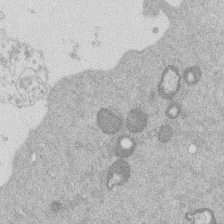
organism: Mouse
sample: Dividing mouse embryo 1 cell stage